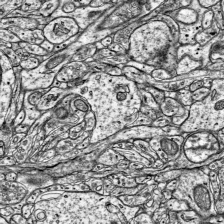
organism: Mouse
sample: Visual Cortex